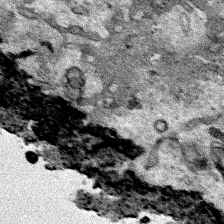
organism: Human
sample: Mitochondria in HCT116 cells